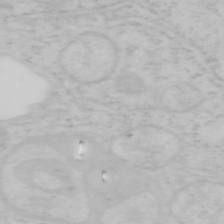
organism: Mouse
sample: OT-I killer T cells with ID8 ovarian cancer cells